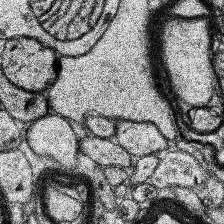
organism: Human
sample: Temporal Lobe